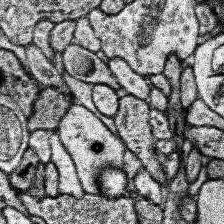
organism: Human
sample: Temporal Lobe